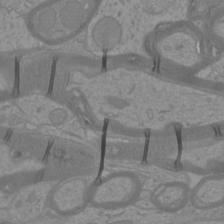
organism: Mouse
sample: Cortical neurons